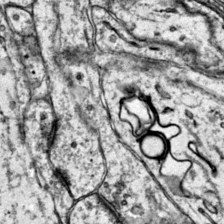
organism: Mouse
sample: Primary visual cortex